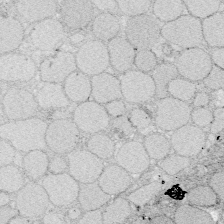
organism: Zebrafish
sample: Whole-Brain